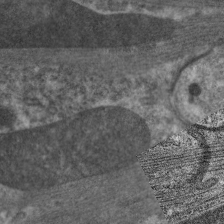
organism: C. elegans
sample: Pharynx